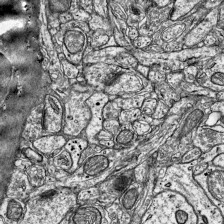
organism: Mouse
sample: Visual Cortex